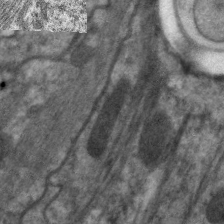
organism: C. elegans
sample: Pharynx